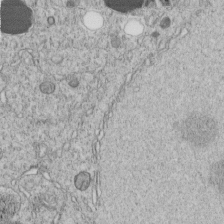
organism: C. elegans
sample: C. elegans embryo early stage